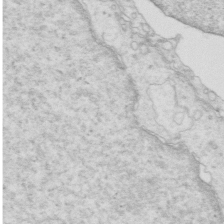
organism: Mouse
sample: Multiciliated cells